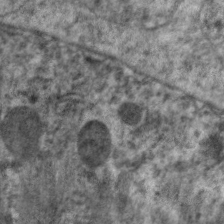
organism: C. elegans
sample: Pharynx